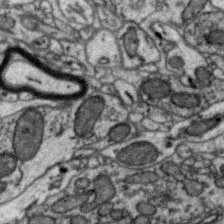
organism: Zebra finch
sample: Brain